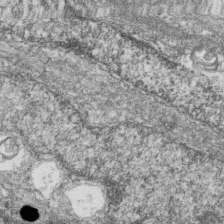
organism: Zebrafish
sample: Cilia; retinal pigment epithelium